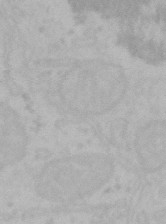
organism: Mouse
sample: Choroid plexus